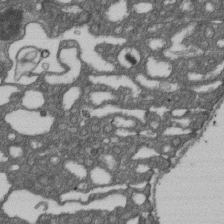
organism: Drosophila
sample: Nephrocyte